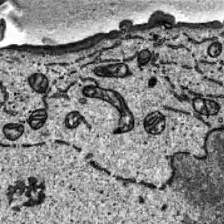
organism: Human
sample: HeLa cells